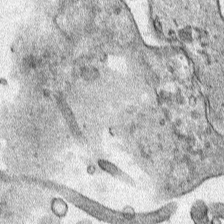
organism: Human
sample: Mitochondria in HCT116 cells